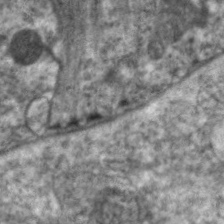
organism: C. elegans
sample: Pharynx